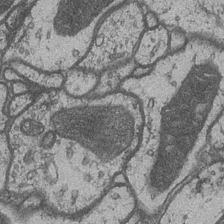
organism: Drosophila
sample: Optic medulla